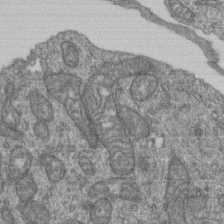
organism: Human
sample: Retinal organoid Rod and Cone cells